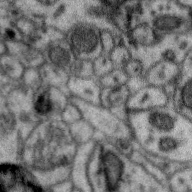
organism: Zebra finch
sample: Brain